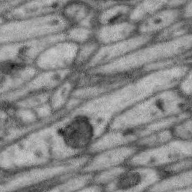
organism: Zebra finch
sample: Brain